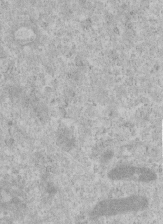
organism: Human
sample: Centriole in RPE cells